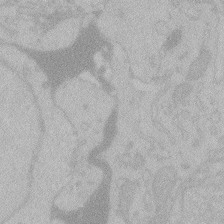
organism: Zebrafish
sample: Macrophage infected with Toxoplasma gondii